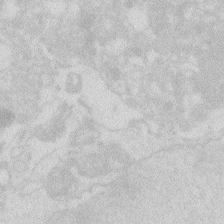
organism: Zebrafish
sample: Macrophage